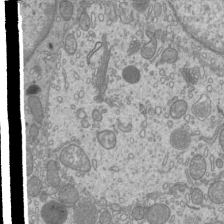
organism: Mouse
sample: Cilia; mouse epididymis